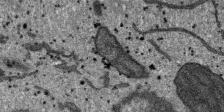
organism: Human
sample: Lung epithelial cells, uninfected (mock) control